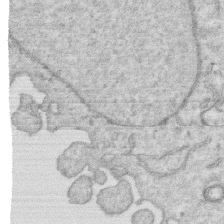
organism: Human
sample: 1205lu cells